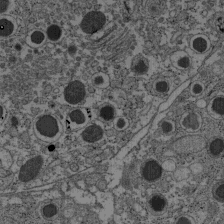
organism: C57BL Mouse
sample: Pancreatic islet